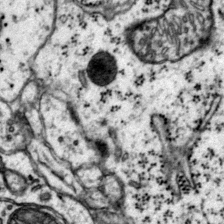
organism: Mouse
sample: Primary visual cortex